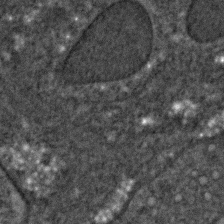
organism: C. elegans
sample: C. elegans embryo